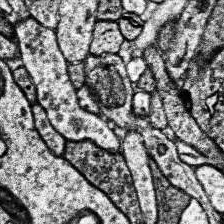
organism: Human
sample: Temporal Lobe